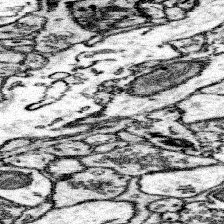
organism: Mouse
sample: Somatosensory cortex neuropil